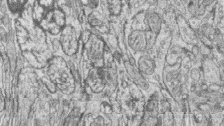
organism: Zebrafish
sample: synaptic ribbons in rod cells and cone cells